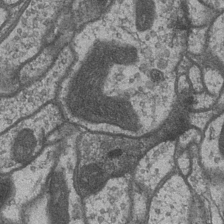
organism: Drosophila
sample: Optic medulla